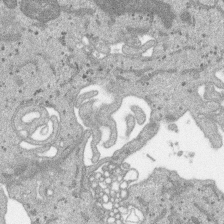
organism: Human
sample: Lung epithelial cells infected with SARS-CoV-2